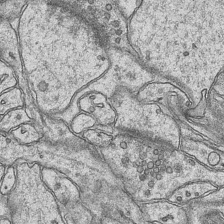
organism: Mouse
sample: CA1 Hippocampus